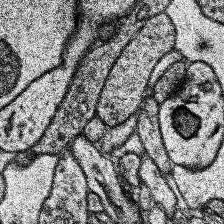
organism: Human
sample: Temporal Lobe